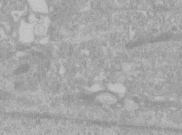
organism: Human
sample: Centriole in RPE cells